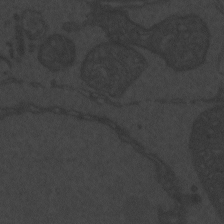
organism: Zebrafish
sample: Macrophage infected with Toxoplasma gondii